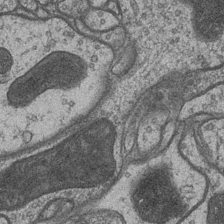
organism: Drosophila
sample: Optic medulla